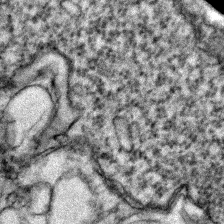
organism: Zebrafish